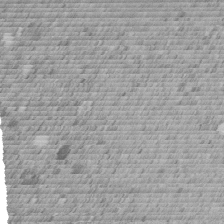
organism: C. elegans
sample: C. elegans embryo early stage